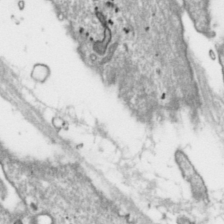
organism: Toxoplasma gondii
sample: Parasites in a vacuole inside a host cell